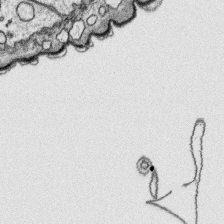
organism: Platynereis dumerilii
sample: Parapodia